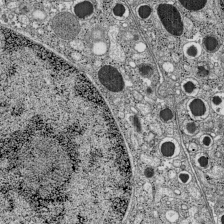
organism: C57BL Mouse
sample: Pancreatic islet